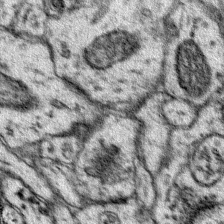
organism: Mouse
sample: Primary visual cortex